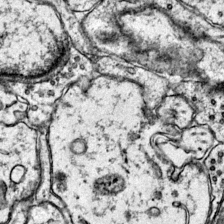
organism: Mouse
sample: Primary visual cortex